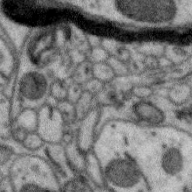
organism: Zebra finch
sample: Brain